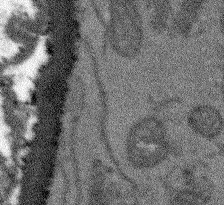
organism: Arabidopsis thaliana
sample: Root tip